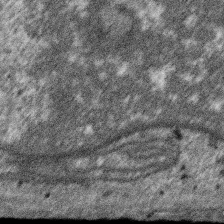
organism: Human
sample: Lung epithelial cells infected with SARS-CoV-2